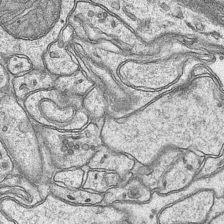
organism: Mouse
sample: CA1 Hippocampus